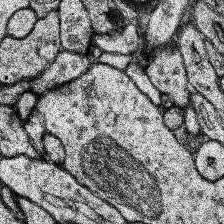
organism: Human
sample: Temporal Lobe